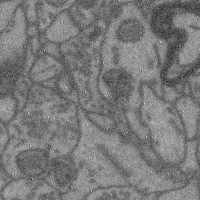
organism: Mouse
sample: Cerebral cortex